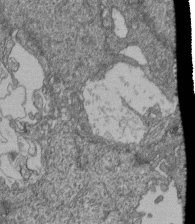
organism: Human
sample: Retinal organoid Rod and Cone cells